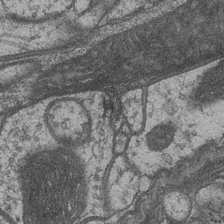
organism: Drosophila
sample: Optic medulla